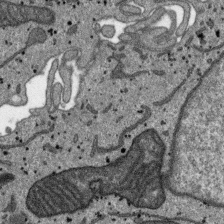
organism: Human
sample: Lung epithelial cells, uninfected (mock) control